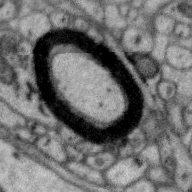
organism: Zebra finch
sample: Brain